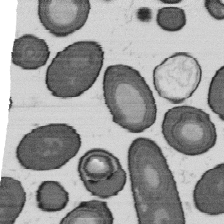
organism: B. subtilis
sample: Bacterial spore